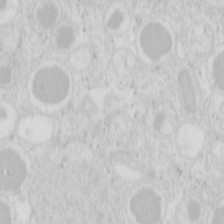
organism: Mouse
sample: Pancreas